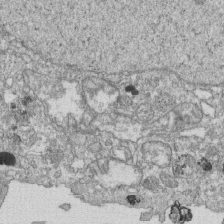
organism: Human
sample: HeLa cell HIV synapse